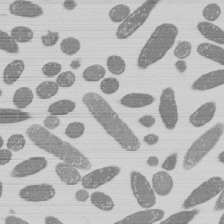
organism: E. coli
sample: Bacterial nucleoid